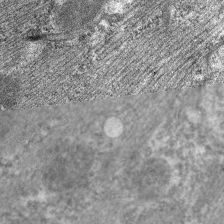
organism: C. elegans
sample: Pharynx